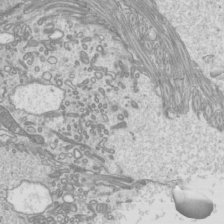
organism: Mouse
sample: Cilia; mouse epididymis